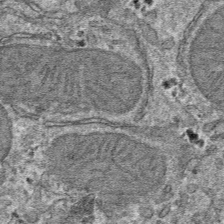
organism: Mouse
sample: Mouse hepatocytes